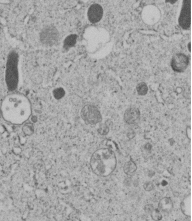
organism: C. elegans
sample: C. elegans embryo early stage